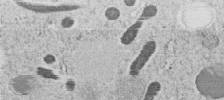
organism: C. elegans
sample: C. elegans embryo early stage